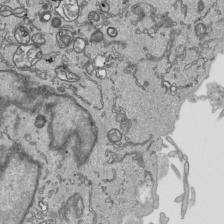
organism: Human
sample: Mitochondria in HCT116 cells